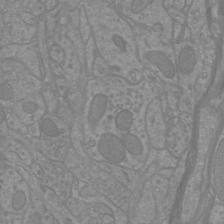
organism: Mouse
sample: Cortical neurons